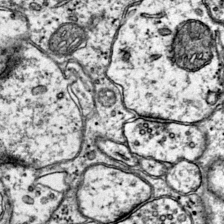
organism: Mouse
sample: Primary visual cortex